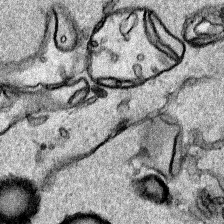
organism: Human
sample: Mitochondria in HCT116 cells